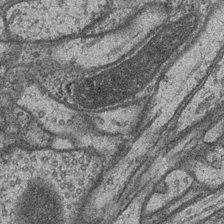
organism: Drosophila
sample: Optic medulla